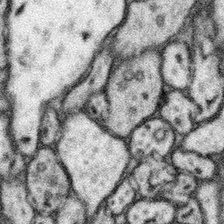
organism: Mouse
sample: Somatosensory cortex neuropil